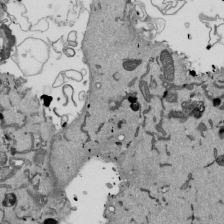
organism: Mouse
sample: ED-1 cell nuclei; centrioles